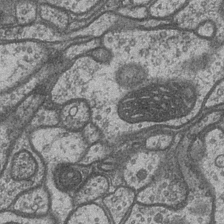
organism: Drosophila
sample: Optic medulla